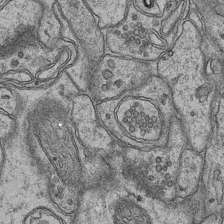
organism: Mouse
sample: CA1 Hippocampus